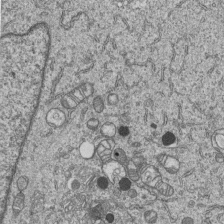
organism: Human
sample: MDA-MB-231 cells